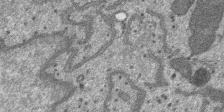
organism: Human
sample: Lung epithelial cells infected with SARS-CoV-2